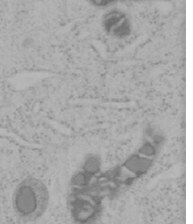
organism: Mouse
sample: OT-I killer T cells with ID8 ovarian cancer cells